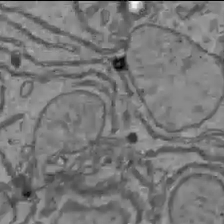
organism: C57BL Mouse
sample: Liver